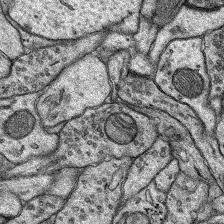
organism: Rat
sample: Hippocampus